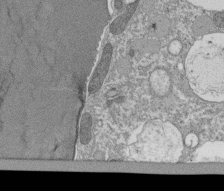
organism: Tetrahymena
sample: Cilia in tetrahymena